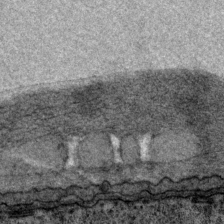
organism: P. pacificus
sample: Pharynx